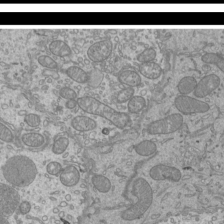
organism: Mouse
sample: Cilia; mouse epididymis